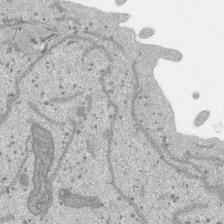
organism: Human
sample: Lung epithelial cells infected with SARS-CoV-2